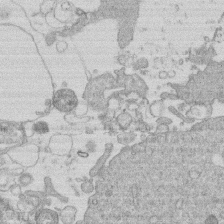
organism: Human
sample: Macrophage cells